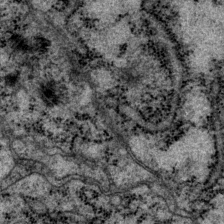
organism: P. pacificus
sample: Pharynx